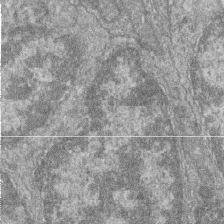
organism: Zebrafish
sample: Cilia; retinal pigment epithelium